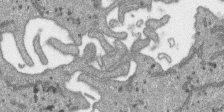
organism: Human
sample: Lung epithelial cells infected with SARS-CoV-2